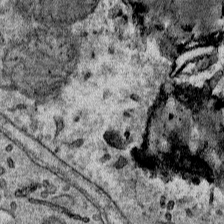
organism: Mouse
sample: Mouse Salivary gland